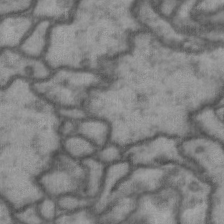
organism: Drosophila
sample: Brain